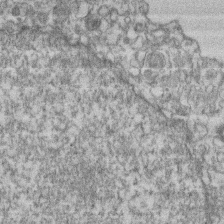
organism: Mouse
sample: T cell stromal cell synapse